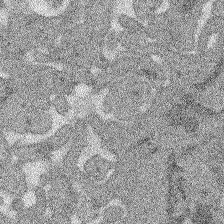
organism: Human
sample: HeLa cells